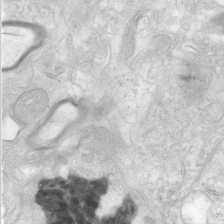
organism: Human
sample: Neocortex